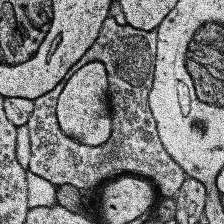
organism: Human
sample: Temporal Lobe